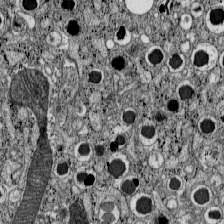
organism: C57BL Mouse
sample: Pancreatic islet